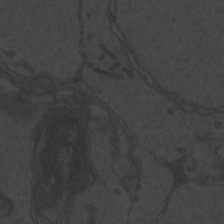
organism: Zebrafish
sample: Macrophage infected with Toxoplasma gondii